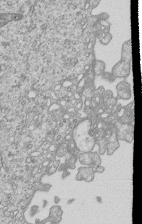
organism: Human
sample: MDA-MB-231 cells